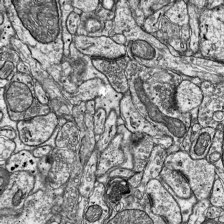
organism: Mouse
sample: Visual Cortex